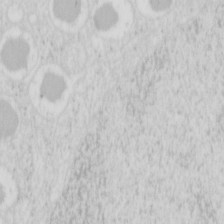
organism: Mouse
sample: Pancreas